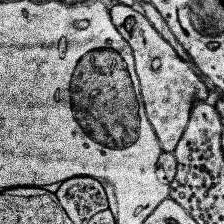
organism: Human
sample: Temporal Lobe